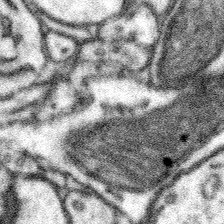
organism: Mouse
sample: Somatosensory cortex neuropil